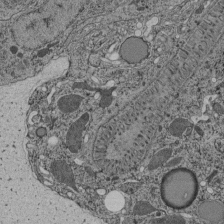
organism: C. elegans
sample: C. elegans pharynx